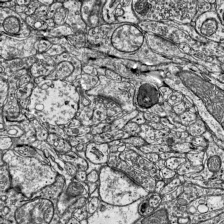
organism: Mouse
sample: Visual Cortex